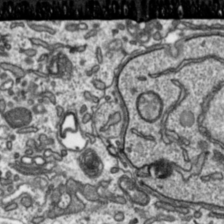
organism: Toxoplasma gondii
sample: Parasites in a vacuole inside a host cell